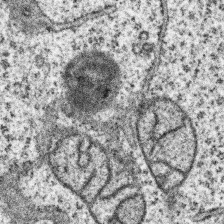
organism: Human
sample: HeLa cells